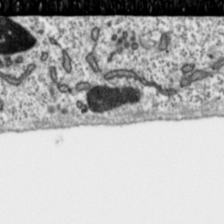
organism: Toxoplasma gondii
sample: Parasites in a vacuole inside a host cell